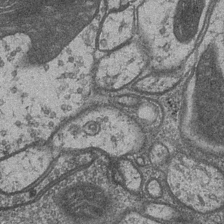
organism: Drosophila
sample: Optic medulla